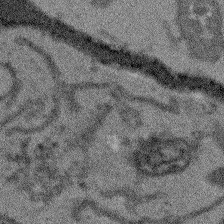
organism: Arabidopsis thaliana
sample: Root tip